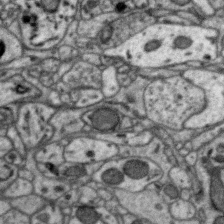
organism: Zebra finch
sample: Brain